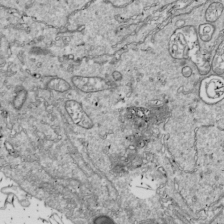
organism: Drosophila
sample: Cell division; meiosis; drosophila spermatocytes